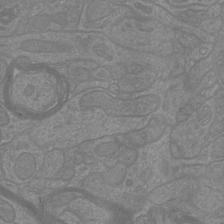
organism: Mouse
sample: Cortical neurons